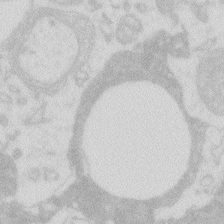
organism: Zebrafish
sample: Macrophage